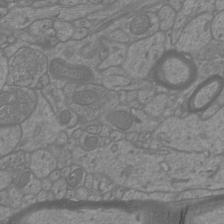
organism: Mouse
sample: Cortical neurons